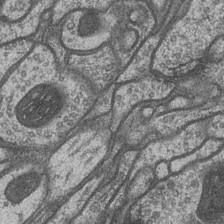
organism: Drosophila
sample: Optic medulla